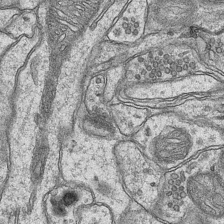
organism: Mouse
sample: CA1 Hippocampus